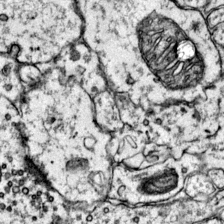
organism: Mouse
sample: Primary visual cortex